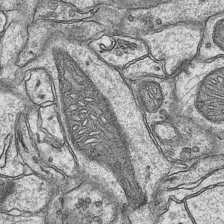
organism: Mouse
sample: CA1 Hippocampus